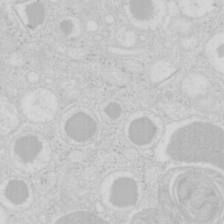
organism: Mouse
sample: Pancreas